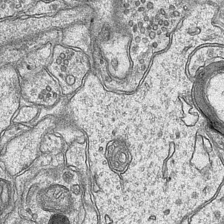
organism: Mouse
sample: CA1 Hippocampus